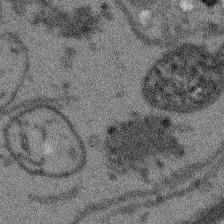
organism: Arabidopsis thaliana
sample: Root tip